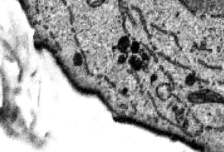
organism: Human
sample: HeLa cells